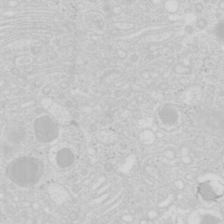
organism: Mouse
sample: Pancreas